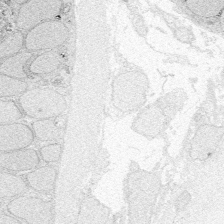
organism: Zebrafish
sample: Whole-Brain